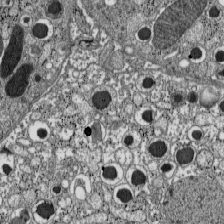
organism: C57BL Mouse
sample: Pancreatic islet